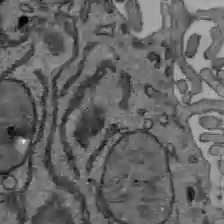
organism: C57BL Mouse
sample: Liver